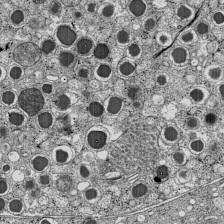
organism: C57BL Mouse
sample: Pancreatic islet